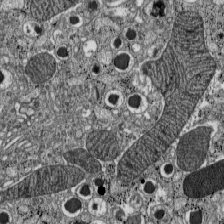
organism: C57BL Mouse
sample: Pancreatic islet